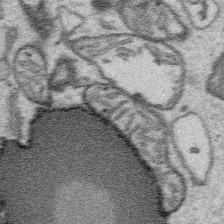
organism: Platynereis dumerilii